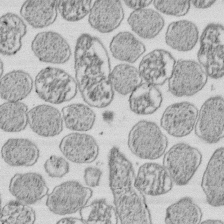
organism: E. coli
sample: Bacterial nucleoid